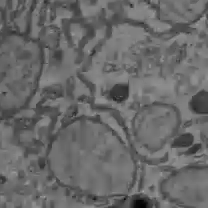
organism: C57BL Mouse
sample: Liver